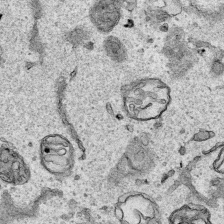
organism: Human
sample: Mitochondria in HCT116 cells